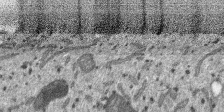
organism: Human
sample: Lung epithelial cells infected with SARS-CoV-2